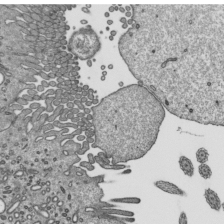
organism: Mouse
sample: Mouse epididymis efferent ductule cilia